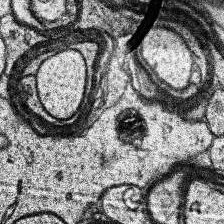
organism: Human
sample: Temporal Lobe